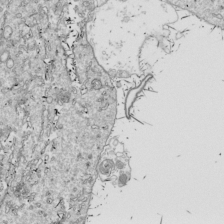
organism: Drosophila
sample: Cell division; meiosis; drosophila spermatocytes